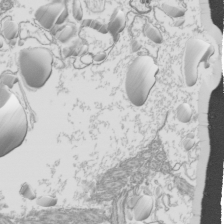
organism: Mouse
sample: Cilia; mouse epididymis